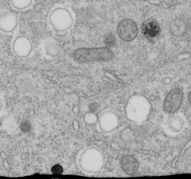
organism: C. elegans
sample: C. elegans embryo early stage